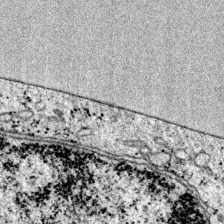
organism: Human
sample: HeLa cells